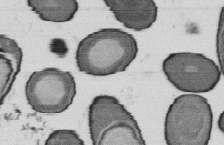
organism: B. subtilis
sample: Bacterial spore